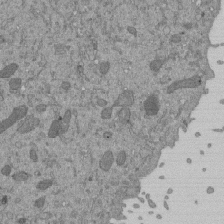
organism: Mouse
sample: ED-1 cell nuclei; centrioles